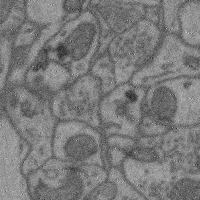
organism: Mouse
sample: Cerebral cortex